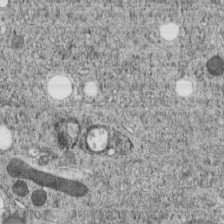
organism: C. elegans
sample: C. elegans embryo early stage